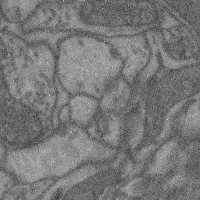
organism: Mouse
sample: Cerebral cortex